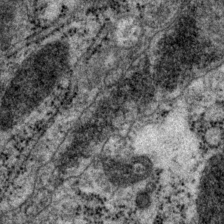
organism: P. pacificus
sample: Pharynx